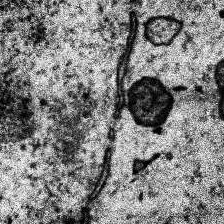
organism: Human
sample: Temporal Lobe